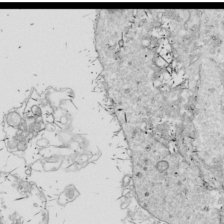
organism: Drosophila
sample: Cell division; meiosis; drosophila spermatocytes